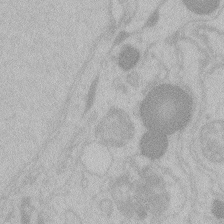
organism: Zebrafish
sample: Macrophage infected with Toxoplasma gondii